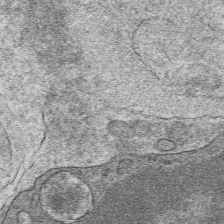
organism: Mouse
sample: Mouse hepatocytes